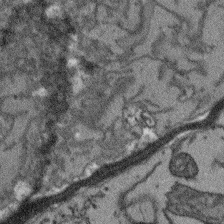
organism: Arabidopsis thaliana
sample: Root tip